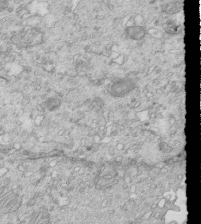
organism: Mouse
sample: Multiciliated cells